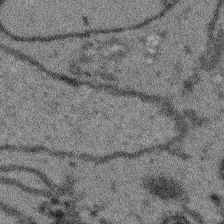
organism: Arabidopsis thaliana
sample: Root tip